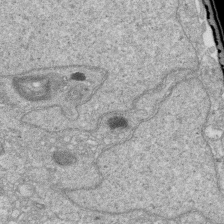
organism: Human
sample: HeLa cell HIV synapse